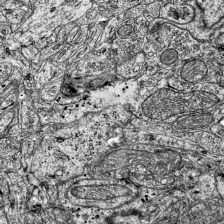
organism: Mouse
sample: Visual Cortex